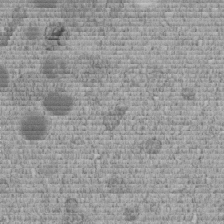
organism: C. elegans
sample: C. elegans embryo early stage